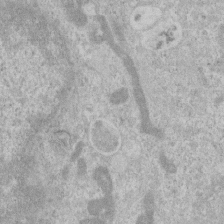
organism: Human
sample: Centriole in RPE cells